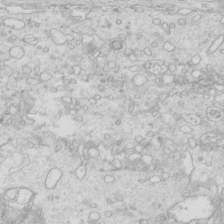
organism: Mouse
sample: Multiciliated cells